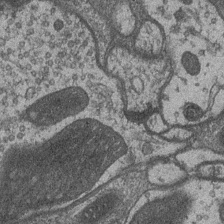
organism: Drosophila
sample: Optic medulla